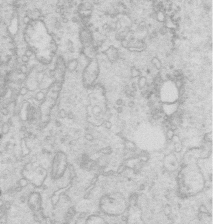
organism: Mouse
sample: Multiciliated cells